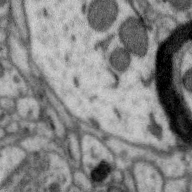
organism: Zebra finch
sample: Brain